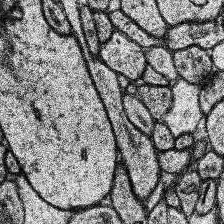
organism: Human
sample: Temporal Lobe